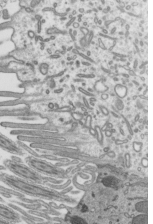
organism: Mouse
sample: Mouse epididymis efferent ductule cilia